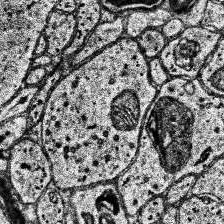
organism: Human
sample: Temporal Lobe